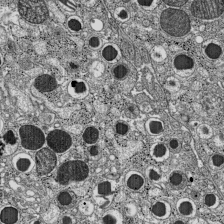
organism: C57BL Mouse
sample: Pancreatic islet